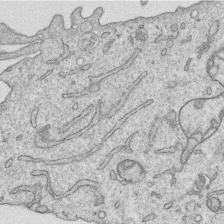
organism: Human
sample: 1205lu cells